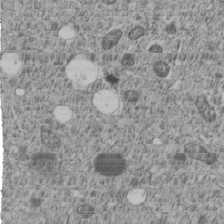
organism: C. elegans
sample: C. elegans embryo early stage